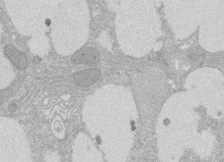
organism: Rat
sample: Salivary granule